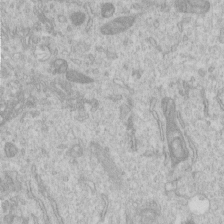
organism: Human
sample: Centriole in RPE cells